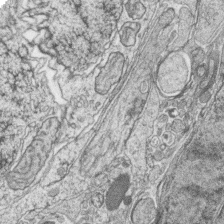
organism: Zebrafish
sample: synaptic ribbons in rod cells and cone cells